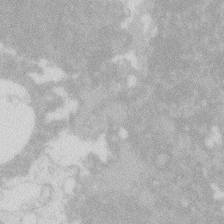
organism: Zebrafish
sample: Macrophage